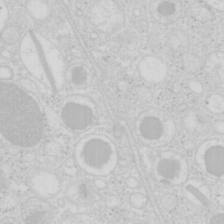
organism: Mouse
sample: Pancreas